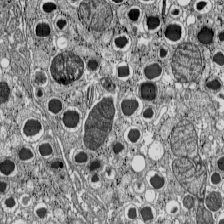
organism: C57BL Mouse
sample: Pancreatic islet